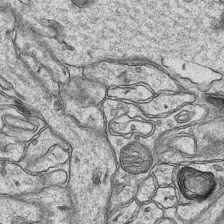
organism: Mouse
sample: CA1 Hippocampus